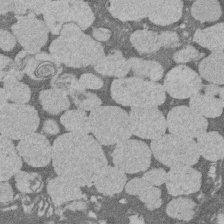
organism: Rat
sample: Salivary granule